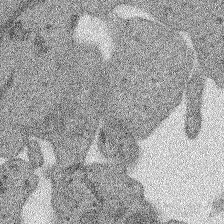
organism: Human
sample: HeLa cells